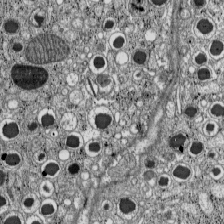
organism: C57BL Mouse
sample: Pancreatic islet